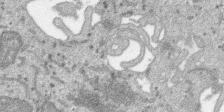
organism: Human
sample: Lung epithelial cells infected with SARS-CoV-2